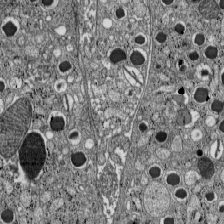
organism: C57BL Mouse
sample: Pancreatic islet